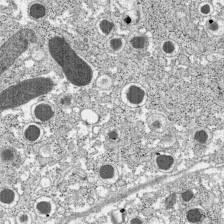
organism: C57BL Mouse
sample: Pancreatic islet